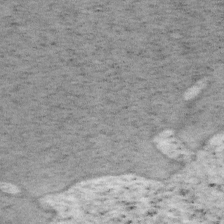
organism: Mouse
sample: OT-I killer T cells with ID8 ovarian cancer cells